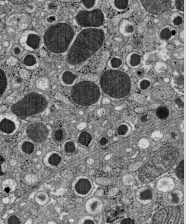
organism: C57BL Mouse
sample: Pancreatic islet